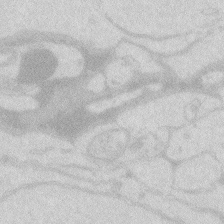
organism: Zebrafish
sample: Macrophage